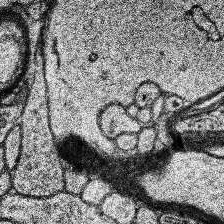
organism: Human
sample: Temporal Lobe